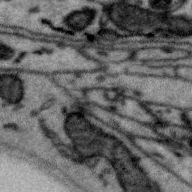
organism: Zebra finch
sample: Brain